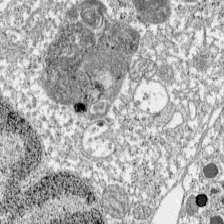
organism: C57BL Mouse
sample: Pancreatic islet